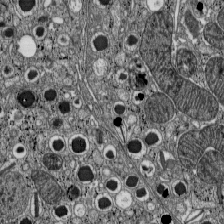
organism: C57BL Mouse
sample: Pancreatic islet